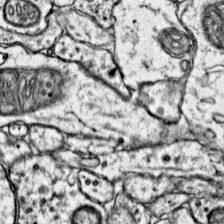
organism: Mouse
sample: Primary visual cortex